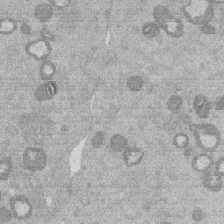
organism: Mouse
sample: Dividing mouse embryo 1 cell stage